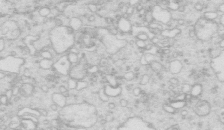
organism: Mouse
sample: Multiciliated cells